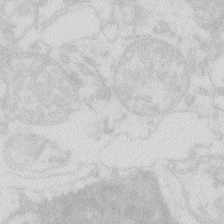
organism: Zebrafish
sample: Macrophage